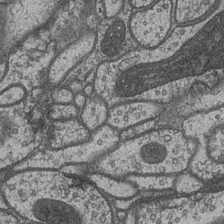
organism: Drosophila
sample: Optic medulla